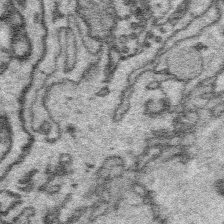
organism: Platynereis dumerilii